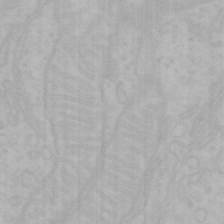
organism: Mouse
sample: Choroid plexus